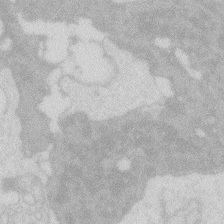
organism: Zebrafish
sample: Macrophage